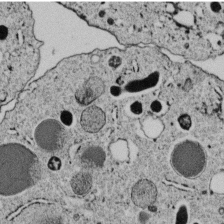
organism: C. elegans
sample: C. elegans embryo early stage